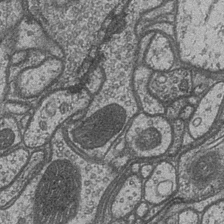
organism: Drosophila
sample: Optic medulla